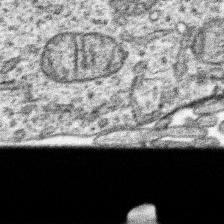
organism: Human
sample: HeLa cells